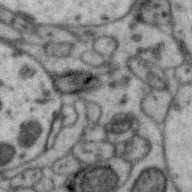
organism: Zebra finch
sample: Brain